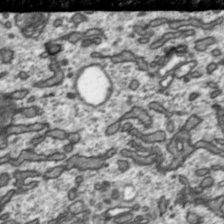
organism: Toxoplasma gondii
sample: Parasites in a vacuole inside a host cell